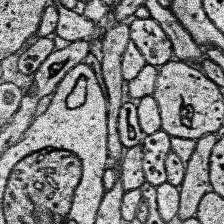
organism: Human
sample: Temporal Lobe